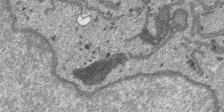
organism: Human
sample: Lung epithelial cells infected with SARS-CoV-2